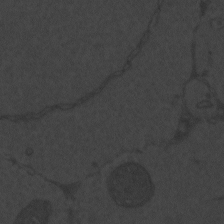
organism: Zebrafish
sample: Macrophage infected with Toxoplasma gondii